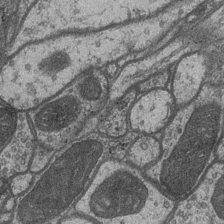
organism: Drosophila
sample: Optic medulla